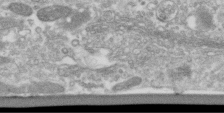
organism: Human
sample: Centriole in RPE cells